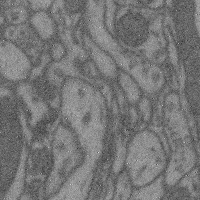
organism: Mouse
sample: Cerebral cortex